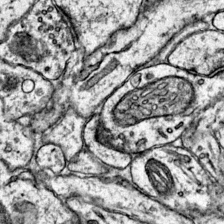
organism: Mouse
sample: Primary visual cortex